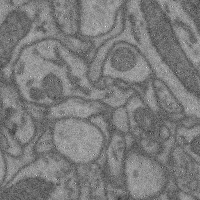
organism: Mouse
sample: Cerebral cortex